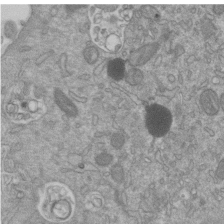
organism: Mouse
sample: ED-1 cell nuclei; centrioles